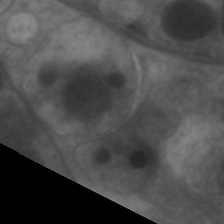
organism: C. elegans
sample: Pharynx